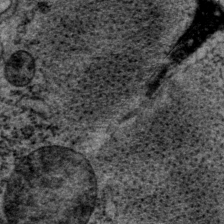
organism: P. pacificus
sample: Pharynx